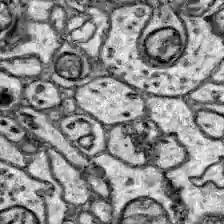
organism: Zebrafish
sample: Brain